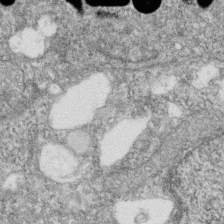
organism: Zebrafish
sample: Cilia; retinal pigment epithelium